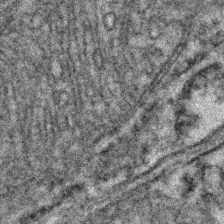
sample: Kidney